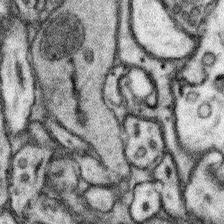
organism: Mouse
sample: Somatosensory cortex neuropil